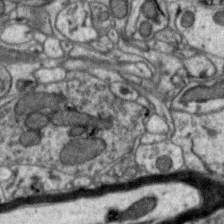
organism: Zebra finch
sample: Brain